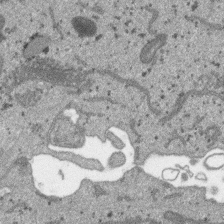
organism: Human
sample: Lung epithelial cells infected with SARS-CoV-2